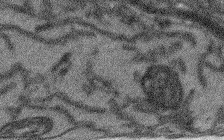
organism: Arabidopsis thaliana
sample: Root tip